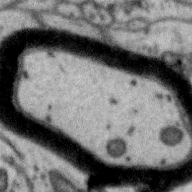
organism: Zebra finch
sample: Brain